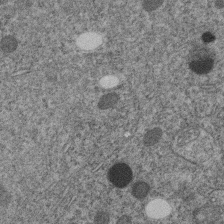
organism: C. elegans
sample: C. elegans embryo early stage